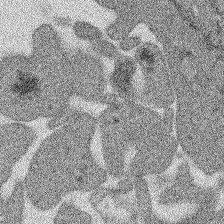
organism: Human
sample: HeLa cells